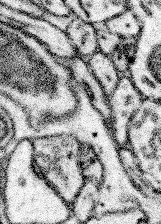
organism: Mouse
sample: Somatosensory cortex neuropil